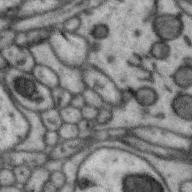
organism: Zebra finch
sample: Brain